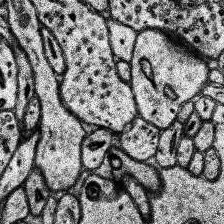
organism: Human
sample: Temporal Lobe